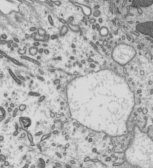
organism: Mouse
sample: Mouse epididymis efferent ductule cilia